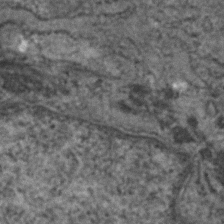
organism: Human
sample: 1205lu cells